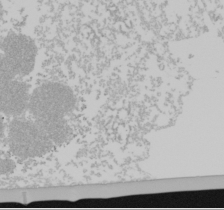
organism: Mouse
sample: Cancer cell death in ED-1 cells